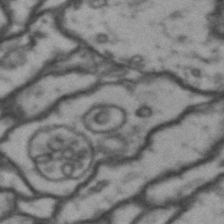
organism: Drosophila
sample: Brain